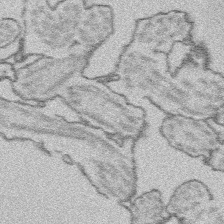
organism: Platynereis dumerilii